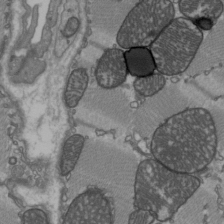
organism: C57BL Mouse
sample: Heart